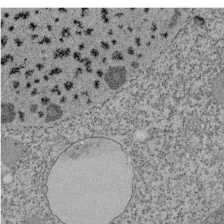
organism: Tetrahymena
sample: Cilia in tetrahymena